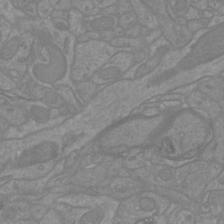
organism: Mouse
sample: Cortical neurons